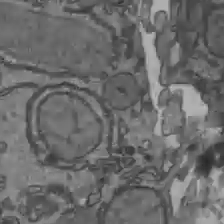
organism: C57BL Mouse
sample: Liver